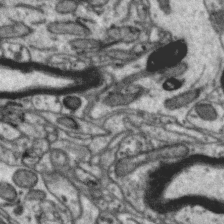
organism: Zebra finch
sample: Brain